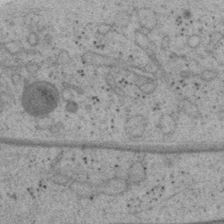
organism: Human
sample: HeLa cells